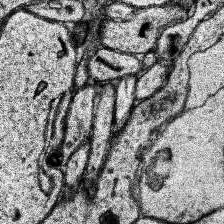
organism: Human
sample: Temporal Lobe